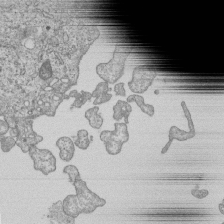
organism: Human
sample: MDA-MB-231 cells